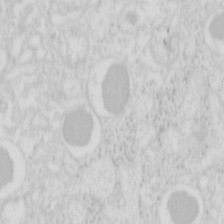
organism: Mouse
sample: Pancreas